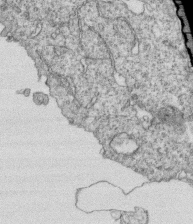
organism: Human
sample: HeLa cell HIV synapse